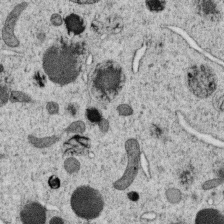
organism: C. elegans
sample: C. elegans oocyte; sperm cells